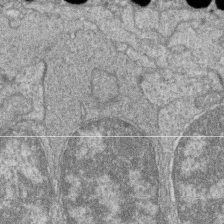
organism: Zebrafish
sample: Cilia; retinal pigment epithelium